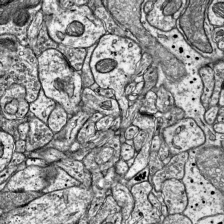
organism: Mouse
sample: Visual Cortex